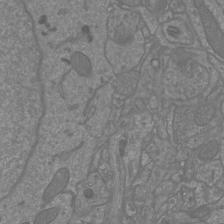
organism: Mouse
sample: Cortical neurons